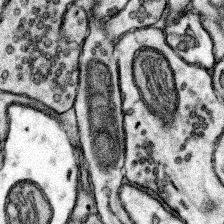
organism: Mouse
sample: Somatosensory cortex neuropil